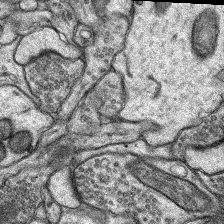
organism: Rat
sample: Hippocampus